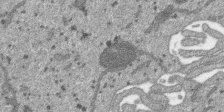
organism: Human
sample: Lung epithelial cells infected with SARS-CoV-2